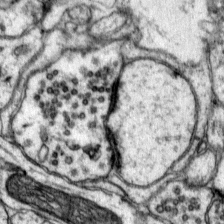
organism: Mouse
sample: Primary visual cortex